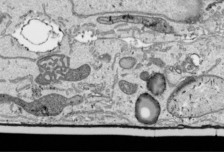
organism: Human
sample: Mitochondria in HCT116 cells